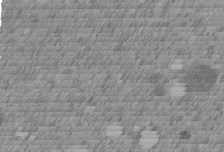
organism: C. elegans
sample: C. elegans embryo early stage